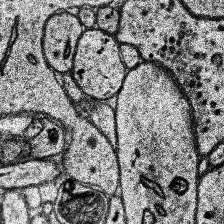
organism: Human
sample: Temporal Lobe